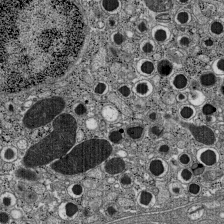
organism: C57BL Mouse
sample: Pancreatic islet